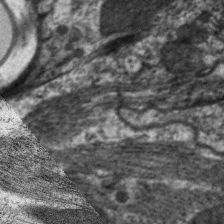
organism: C. elegans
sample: Pharynx